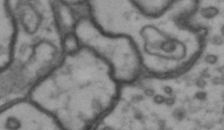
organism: Drosophila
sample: Brain